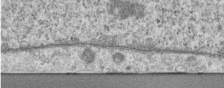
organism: Human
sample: Centriole in RPE cells